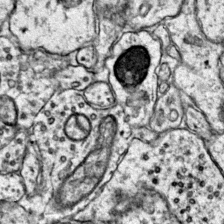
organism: Mouse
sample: Primary visual cortex